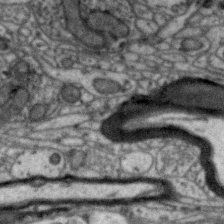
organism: Zebra finch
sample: Brain